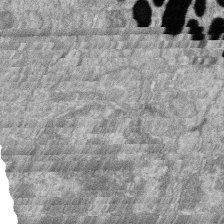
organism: Zebrafish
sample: Cilia; retinal pigment epithelium